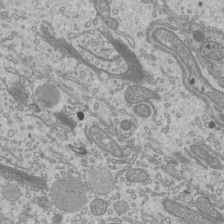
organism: Mouse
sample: Cilia; mouse epididymis